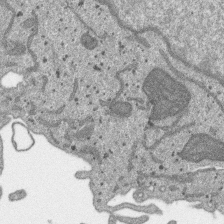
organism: Human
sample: Lung epithelial cells infected with SARS-CoV-2